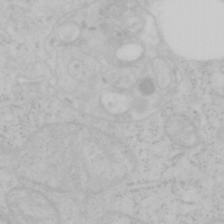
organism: Mouse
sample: OT-I killer T cells with ID8 ovarian cancer cells